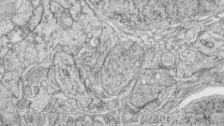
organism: Zebrafish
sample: synaptic ribbons in rod cells and cone cells